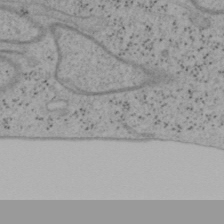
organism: Human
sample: HeLa cells